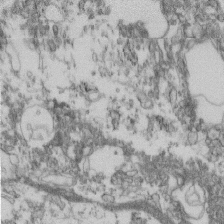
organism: Mouse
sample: Cilia; retinal pigment epithelium